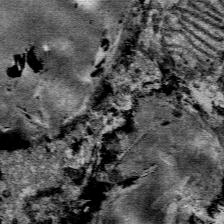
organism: Mouse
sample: Mouse Salivary gland